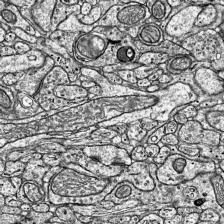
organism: Mouse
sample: Visual Cortex